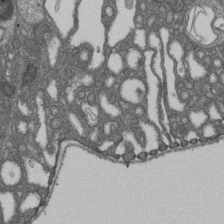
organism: Drosophila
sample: Nephrocyte